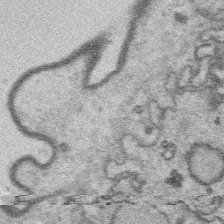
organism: Platynereis dumerilii